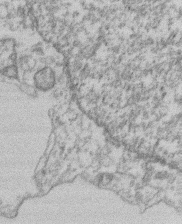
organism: Mouse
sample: T cell stromal cell synapse